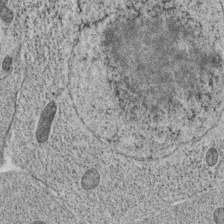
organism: C. elegans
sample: C. elegans oocyte; sperm cells